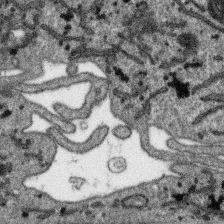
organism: Human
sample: Lung epithelial cells infected with SARS-CoV-2